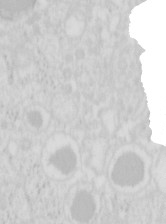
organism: Mouse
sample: Pancreas